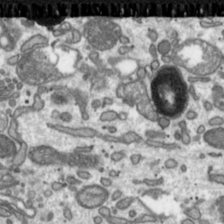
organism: Toxoplasma gondii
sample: Parasites in a vacuole inside a host cell